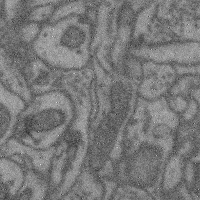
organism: Mouse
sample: Cerebral cortex